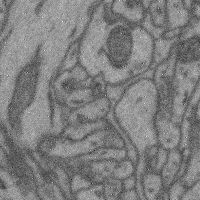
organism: Mouse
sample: Cerebral cortex